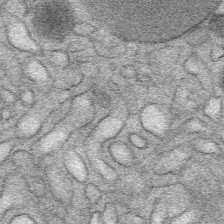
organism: Mouse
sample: Mouse Salivary gland